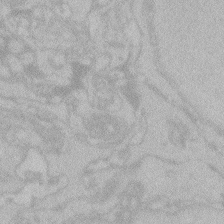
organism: Zebrafish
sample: Macrophage infected with Toxoplasma gondii